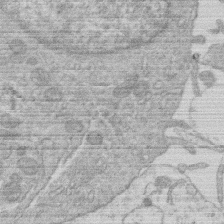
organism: Human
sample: Macrophage cells